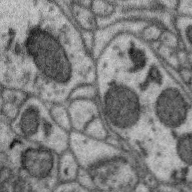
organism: Zebra finch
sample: Brain